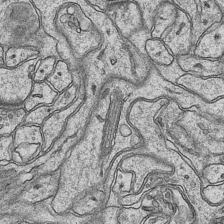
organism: Mouse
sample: CA1 Hippocampus